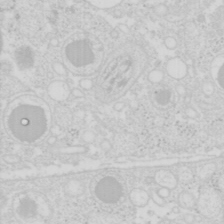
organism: Mouse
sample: Pancreas